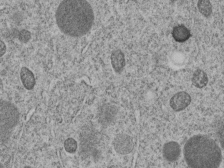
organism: C. elegans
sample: C. elegans embryo early stage